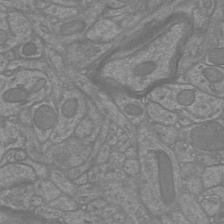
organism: Mouse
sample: Cortical neurons